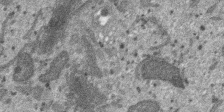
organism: Human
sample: Lung epithelial cells infected with SARS-CoV-2